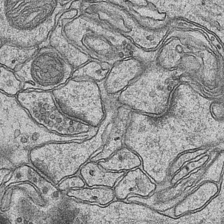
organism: Mouse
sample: CA1 Hippocampus